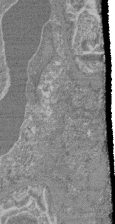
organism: Mouse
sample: Glomerulus